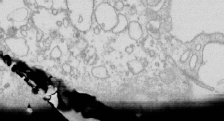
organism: Mouse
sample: Macrophages